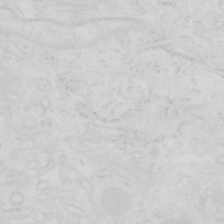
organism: Human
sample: SUM-159 cell